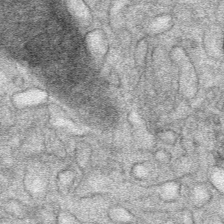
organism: Mouse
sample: Mouse Salivary gland